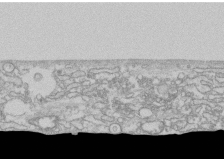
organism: Human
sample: CRL-1474